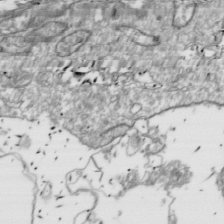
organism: Drosophila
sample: Cell division; meiosis; drosophila spermatocytes